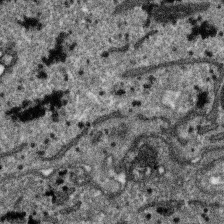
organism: Human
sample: Lung epithelial cells infected with SARS-CoV-2